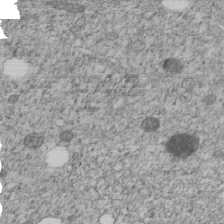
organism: C. elegans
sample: C. elegans embryo early stage